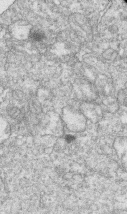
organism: Human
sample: HeLa cell HIV synapse